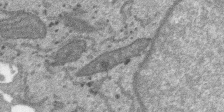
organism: Human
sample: Lung epithelial cells infected with SARS-CoV-2